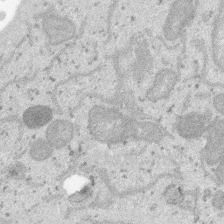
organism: Human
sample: Lung epithelial cells infected with SARS-CoV-2